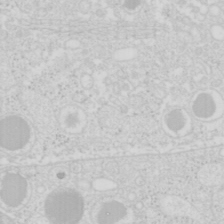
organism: Mouse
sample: Pancreas